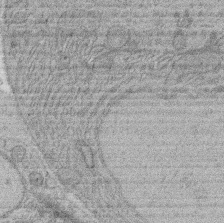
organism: Rat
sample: Salivary granule